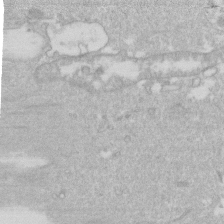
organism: Human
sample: Fibroblast cells